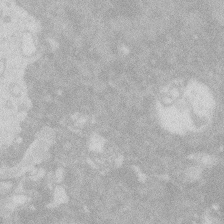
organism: Zebrafish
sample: Macrophage